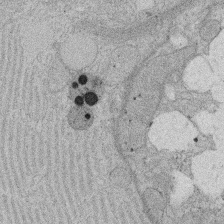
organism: Rat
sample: Salivary granule